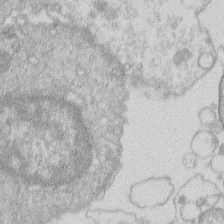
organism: Human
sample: Macrophage cells